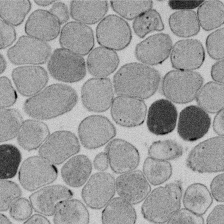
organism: E. coli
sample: Bacterial nucleoid